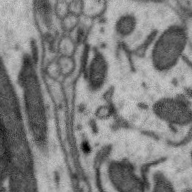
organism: Zebra finch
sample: Brain